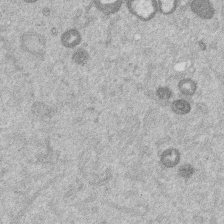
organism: Mouse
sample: Dividing mouse embryo 1 cell stage